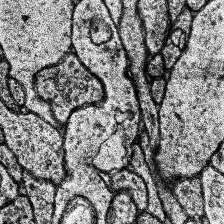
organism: Human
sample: Temporal Lobe